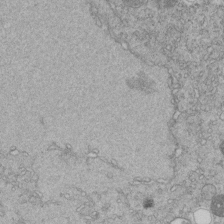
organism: C. elegans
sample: C. elegans embryo early stage